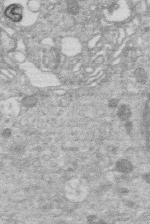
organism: Human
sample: Macrophage cells